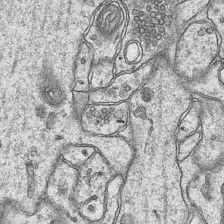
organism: Mouse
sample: CA1 Hippocampus